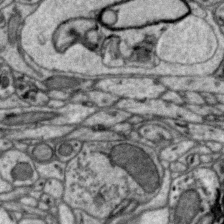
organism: Zebra finch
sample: Brain